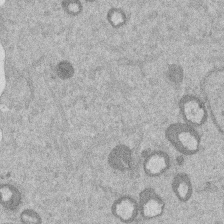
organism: Mouse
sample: Dividing mouse embryo 1 cell stage